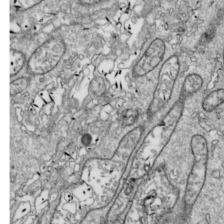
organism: Drosophila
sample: Cell division; meiosis; drosophila spermatocytes